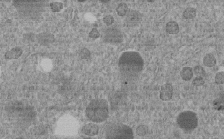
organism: C. elegans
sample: C. elegans embryo early stage